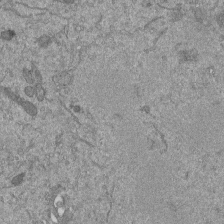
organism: Mouse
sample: ED-1 cell nuclei; centrioles